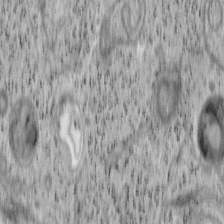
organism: Human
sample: HeLa cells